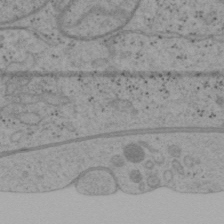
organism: Human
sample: HeLa cells